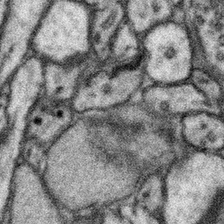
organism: Mouse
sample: Somatosensory cortex neuropil